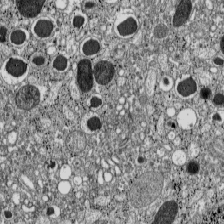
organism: C57BL Mouse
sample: Pancreatic islet